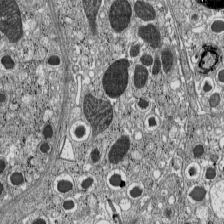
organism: C57BL Mouse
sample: Pancreatic islet